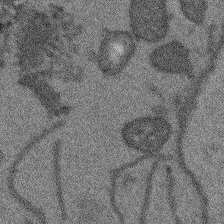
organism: Arabidopsis thaliana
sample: Root tip